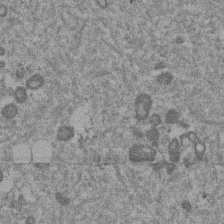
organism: Mouse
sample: Dividing mouse embryo 1 cell stage